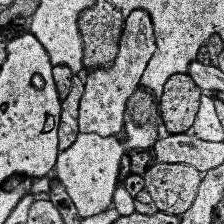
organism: Human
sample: Temporal Lobe